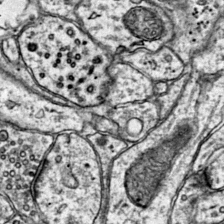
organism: Mouse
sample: Primary visual cortex